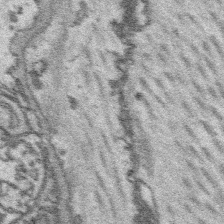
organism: Platynereis dumerilii